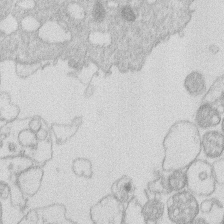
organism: Human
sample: Macrophage cells